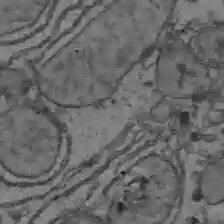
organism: C57BL Mouse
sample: Liver